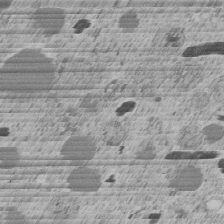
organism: C. elegans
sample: C. elegans embryo early stage